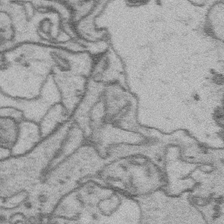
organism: Platynereis dumerilii